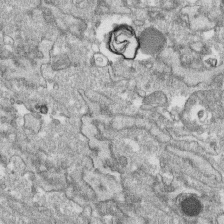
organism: Human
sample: CRL-1474